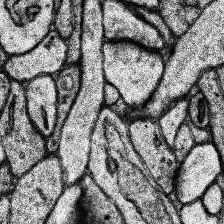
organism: Human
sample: Temporal Lobe